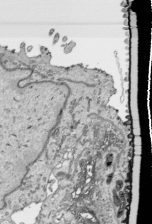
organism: Human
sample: Mitochondria in HCT116 cells